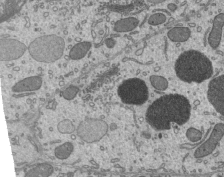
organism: Mouse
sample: Mouse epididymis efferent ductule cilia